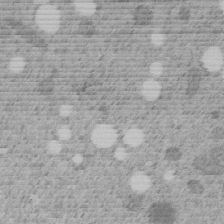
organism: C. elegans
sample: C. elegans embryo early stage